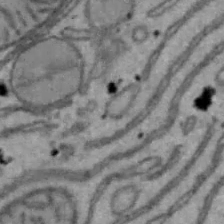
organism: Mouse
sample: Liver